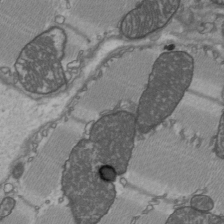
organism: C57BL Mouse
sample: Heart